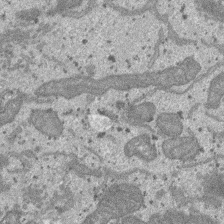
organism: Human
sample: Lung epithelial cells infected with SARS-CoV-2